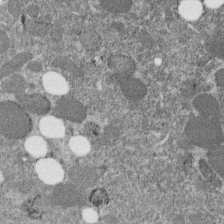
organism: C. elegans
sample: C. elegans embryo early stage